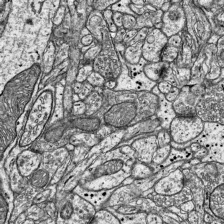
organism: Mouse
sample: Visual Cortex